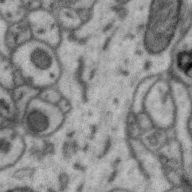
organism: Zebra finch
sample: Brain